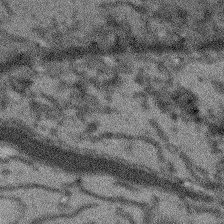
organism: Arabidopsis thaliana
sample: Root tip